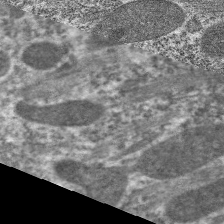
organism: C. elegans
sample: Pharynx